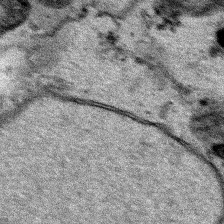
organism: Human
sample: Mitochondria in HCT116 cells